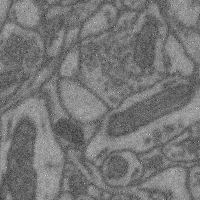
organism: Mouse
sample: Cerebral cortex